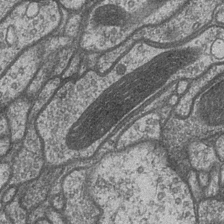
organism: Drosophila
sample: Optic medulla